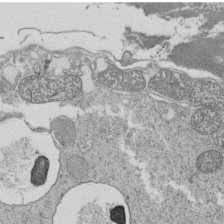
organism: Tetrahymena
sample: Cilia in tetrahymena